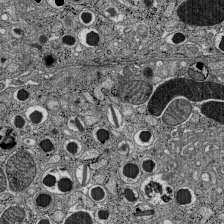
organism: C57BL Mouse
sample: Pancreatic islet